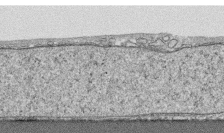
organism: Human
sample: CRL-1474